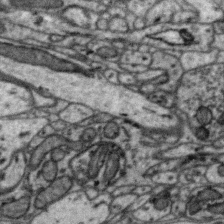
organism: Zebra finch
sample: Brain